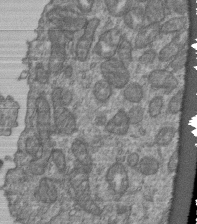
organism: Human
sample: Retinal organoid Rod and Cone cells